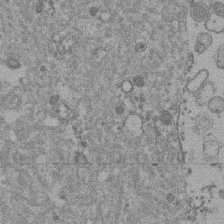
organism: Mouse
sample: Dividing mouse embryo 1 cell stage